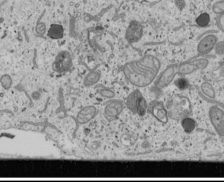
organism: Human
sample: Mitochondria in U2OS cells